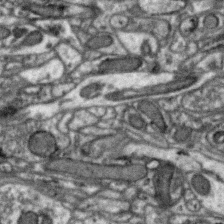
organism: Zebra finch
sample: Brain